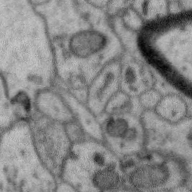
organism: Zebra finch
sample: Brain